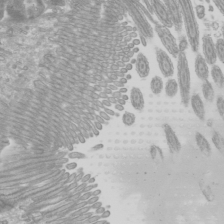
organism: Mouse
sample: Cilia; mouse epididymis